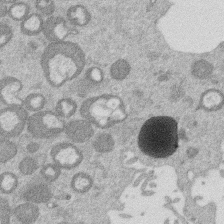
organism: Mouse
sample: Dividing mouse embryo 1 cell stage